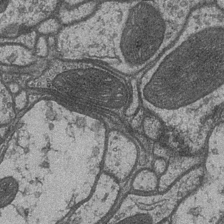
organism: Drosophila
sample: Optic medulla